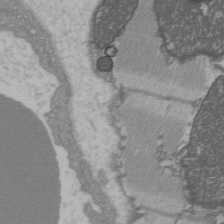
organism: C57BL Mouse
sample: Heart